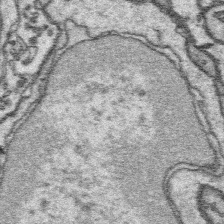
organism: Platynereis dumerilii